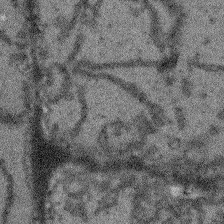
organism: Arabidopsis thaliana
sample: Root tip